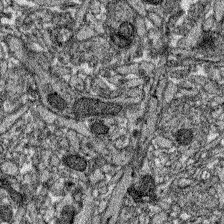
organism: Zebrafish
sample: Larval olfactory bulb